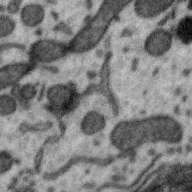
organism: Zebra finch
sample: Brain